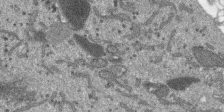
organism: Human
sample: Lung epithelial cells infected with SARS-CoV-2